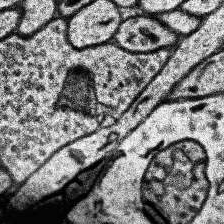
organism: Human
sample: Temporal Lobe